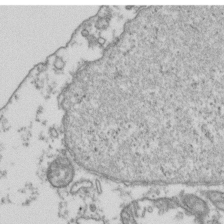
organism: Human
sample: Activated Jurkat CD4+ T cells